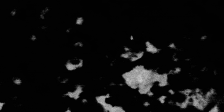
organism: Human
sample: Lung epithelial cells, uninfected (mock) control